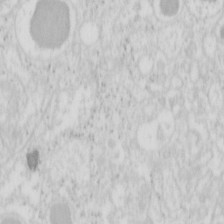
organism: Mouse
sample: Pancreas